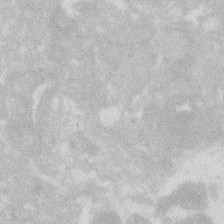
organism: Zebrafish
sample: Macrophage